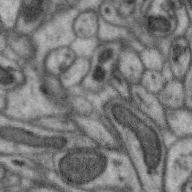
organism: Zebra finch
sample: Brain